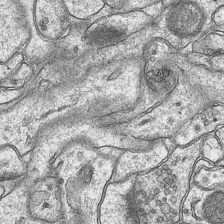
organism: Mouse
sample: CA1 Hippocampus